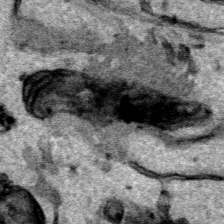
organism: Human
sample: Mitochondria in HCT116 cells